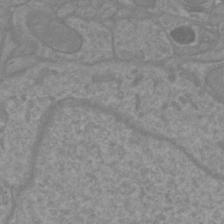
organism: Mouse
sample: Cortical neurons